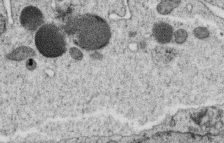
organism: C. elegans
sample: C. elegans oocyte; sperm cells